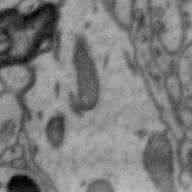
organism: Zebra finch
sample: Brain